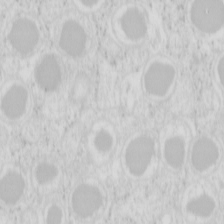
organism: Mouse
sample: Pancreas